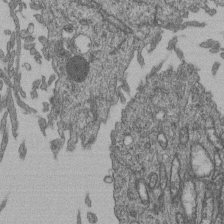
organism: Human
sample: Retinal organoid Rod and Cone cells